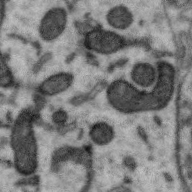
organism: Zebra finch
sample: Brain